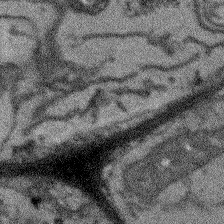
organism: Arabidopsis thaliana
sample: Root tip